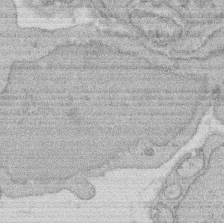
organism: Rat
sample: Salivary granule